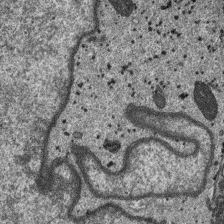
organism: Human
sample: Lung epithelial cells infected with SARS-CoV-2